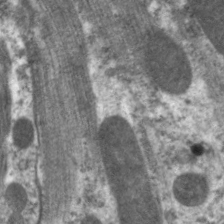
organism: C. elegans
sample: Pharynx